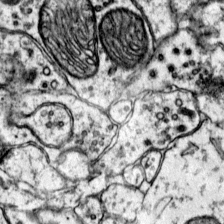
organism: Mouse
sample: Primary visual cortex